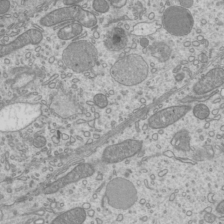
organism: Mouse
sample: Cilia; mouse epididymis